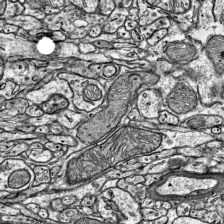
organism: Mouse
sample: Visual Cortex